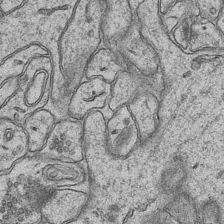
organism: Mouse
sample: CA1 Hippocampus